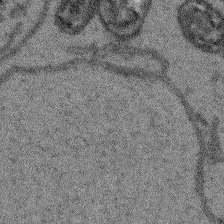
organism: Arabidopsis thaliana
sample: Root tip